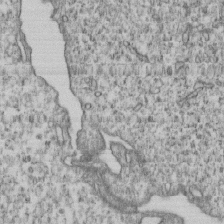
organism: Human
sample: MDA-MB-231 cells